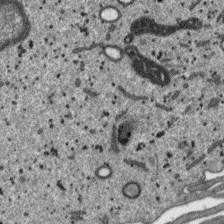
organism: Human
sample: Lung epithelial cells infected with SARS-CoV-2